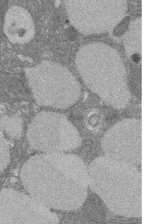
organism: Rat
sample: Salivary granule